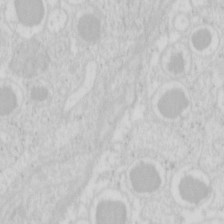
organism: Mouse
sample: Pancreas